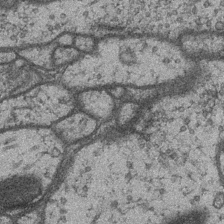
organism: Drosophila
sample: Optic medulla